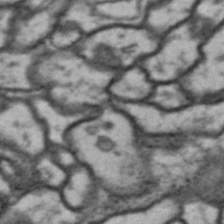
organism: Drosophila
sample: Brain